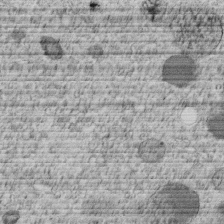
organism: C. elegans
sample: C. elegans embryo early stage